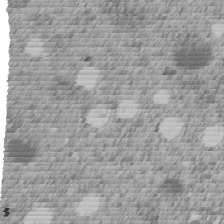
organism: C. elegans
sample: C. elegans embryo early stage